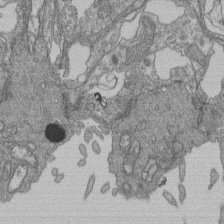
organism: Human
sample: Retinal organoid Rod and Cone cells